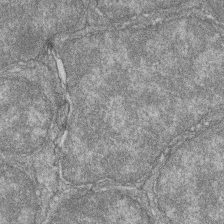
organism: Zebrafish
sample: Cilia; retinal pigment epithelium